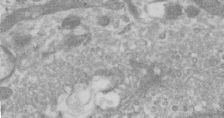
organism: Human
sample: Centriole in RPE cells